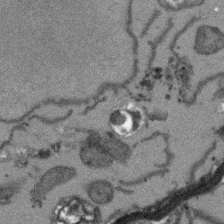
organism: Arabidopsis thaliana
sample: Root tip